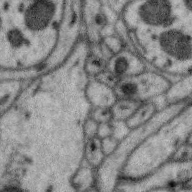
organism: Zebra finch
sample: Brain